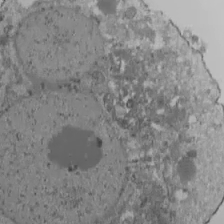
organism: Human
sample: Jurkat E6-1 and CD4 cells